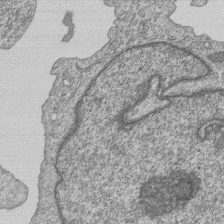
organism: Human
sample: MDA-MB-231 cells